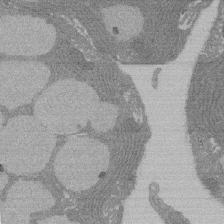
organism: Rat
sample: Salivary granule